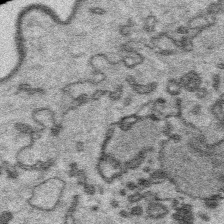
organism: Platynereis dumerilii